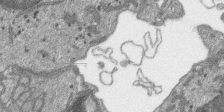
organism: Human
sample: Lung epithelial cells infected with SARS-CoV-2